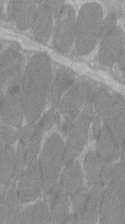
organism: C57BL Mouse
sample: Tibialis anterior muscle cell